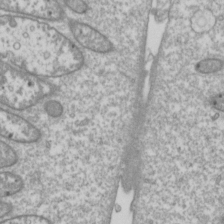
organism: Drosophila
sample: Cell division; meiosis; drosophila spermatocytes